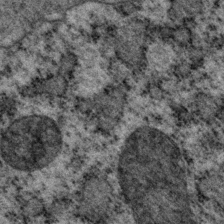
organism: P. pacificus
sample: Pharynx